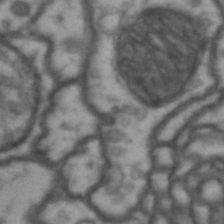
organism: Drosophila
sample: Brain